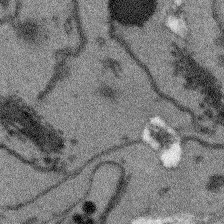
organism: Arabidopsis thaliana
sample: Root tip